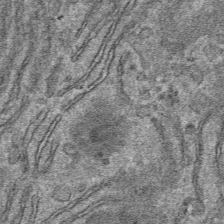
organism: Mouse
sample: Mouse hepatocytes